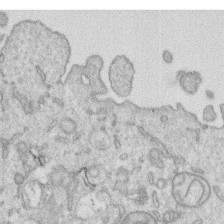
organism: Human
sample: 1205lu cells